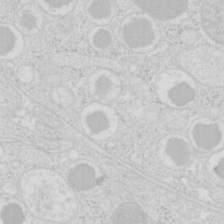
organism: Mouse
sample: Pancreas